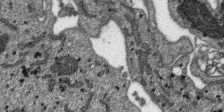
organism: Human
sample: Lung epithelial cells infected with SARS-CoV-2